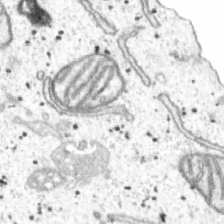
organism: Human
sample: HeLa cells